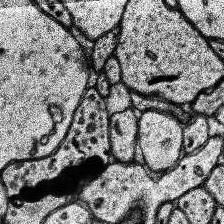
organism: Human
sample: Temporal Lobe